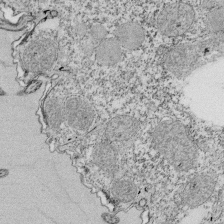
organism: Tetrahymena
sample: Cilia in tetrahymena